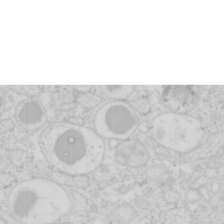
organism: Mouse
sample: Pancreas